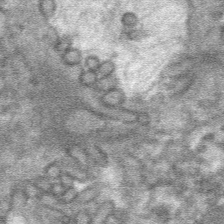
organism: Mouse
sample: Mouse hepatocytes